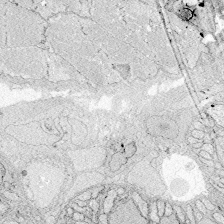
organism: Zebrafish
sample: Whole-Brain